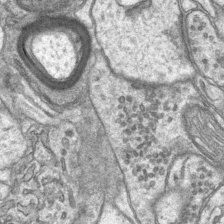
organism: Mouse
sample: CA1 Hippocampus